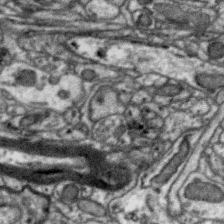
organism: Zebra finch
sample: Brain